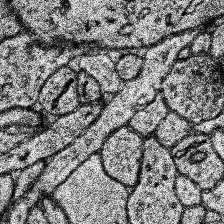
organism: Human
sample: Temporal Lobe